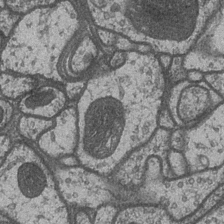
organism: Drosophila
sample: Optic medulla